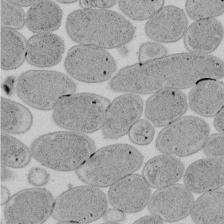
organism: E. coli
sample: Bacterial nucleoid